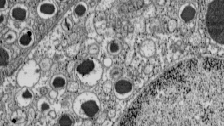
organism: C57BL Mouse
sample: Pancreatic islet